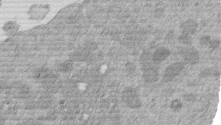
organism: Mouse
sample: Dividing mouse embryo 1 cell stage